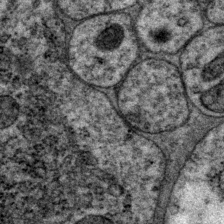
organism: P. pacificus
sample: Pharynx